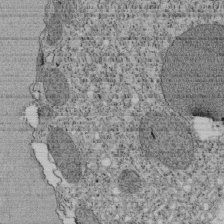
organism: Tetrahymena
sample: Cilia in tetrahymena